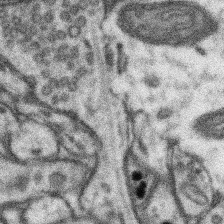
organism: Mouse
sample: Somatosensory cortex neuropil